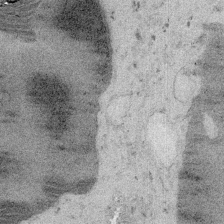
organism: Embia sp.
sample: Silk gland